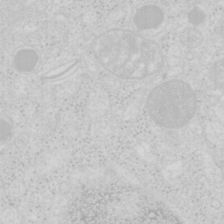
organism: Mouse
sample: Pancreas